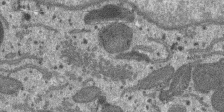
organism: Human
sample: Lung epithelial cells infected with SARS-CoV-2